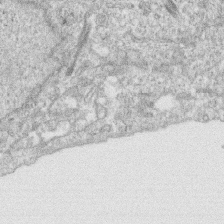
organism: Human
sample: HeLa cell HIV synapse